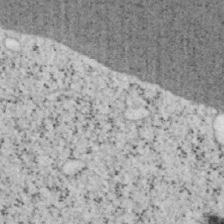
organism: Mouse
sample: OT-I killer T cells with ID8 ovarian cancer cells